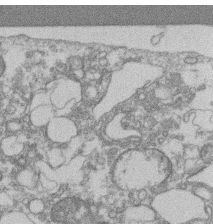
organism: Mouse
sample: T cell stromal cell synapse